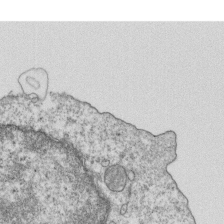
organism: Mouse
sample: Activated OT-1 CD8+ T cells